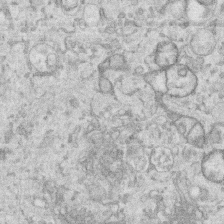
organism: Human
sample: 1205lu cells